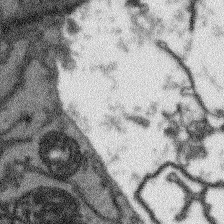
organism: Arabidopsis thaliana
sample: Root tip